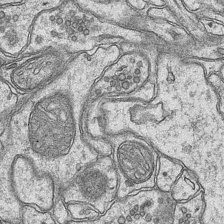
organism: Mouse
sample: CA1 Hippocampus